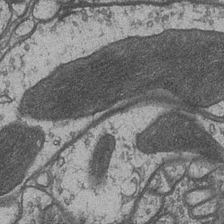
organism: Drosophila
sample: Optic medulla